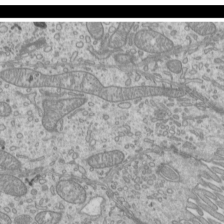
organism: Mouse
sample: Cilia; mouse epididymis